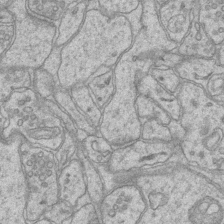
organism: Mouse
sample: CA1 Hippocampus